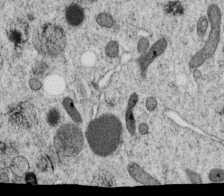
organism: C. elegans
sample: C. elegans oocyte; sperm cells